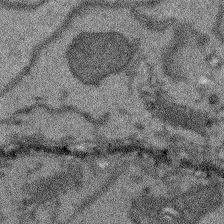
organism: Arabidopsis thaliana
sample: Root tip